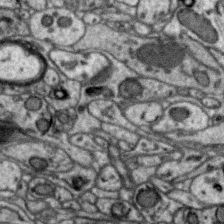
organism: Zebra finch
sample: Brain